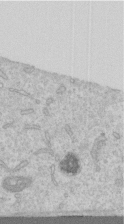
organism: Human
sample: Centriole in RPE cells